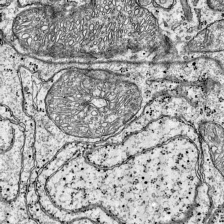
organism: Mouse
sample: Visual Cortex